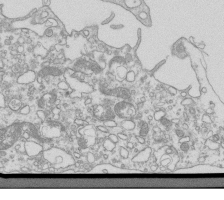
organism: Mouse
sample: Macrophages